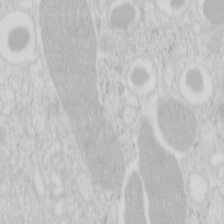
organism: Mouse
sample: Pancreas